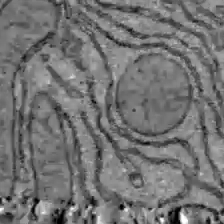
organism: C57BL Mouse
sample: Liver